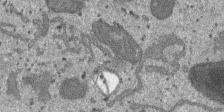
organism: Human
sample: Lung epithelial cells infected with SARS-CoV-2